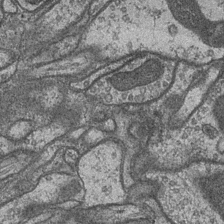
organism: Drosophila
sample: Optic medulla